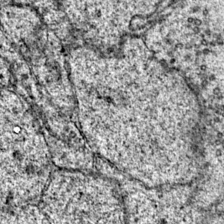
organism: Mouse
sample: Primary visual cortex